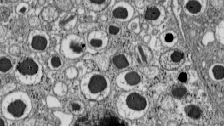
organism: C57BL Mouse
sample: Pancreatic islet